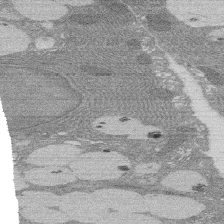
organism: Rat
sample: Salivary granule